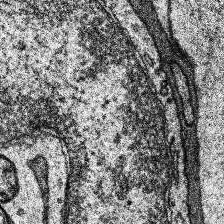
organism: Human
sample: Temporal Lobe